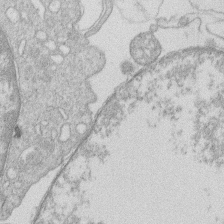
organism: Human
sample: Macrophage cells